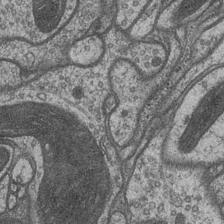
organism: Drosophila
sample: Optic medulla